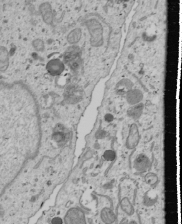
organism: Human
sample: Mitochondria in U2OS cells